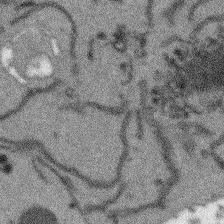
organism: Arabidopsis thaliana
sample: Root tip